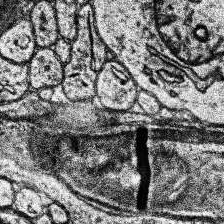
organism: Human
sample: Temporal Lobe